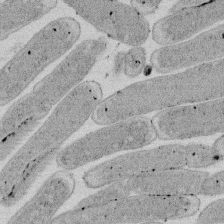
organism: E. coli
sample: Bacterial nucleoid